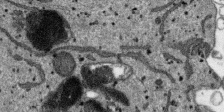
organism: Human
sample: Lung epithelial cells, uninfected (mock) control